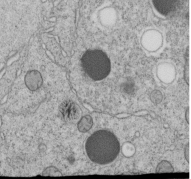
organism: C. elegans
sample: C. elegans embryo early stage